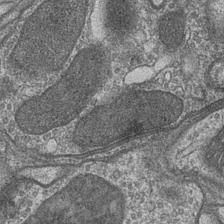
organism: Drosophila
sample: Optic medulla